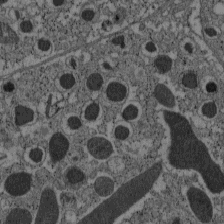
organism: C57BL Mouse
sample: Pancreatic islet